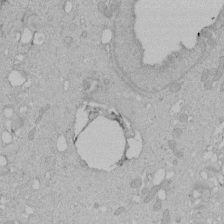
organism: Human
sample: Melanocyte Keratinocyte synapse skin construct